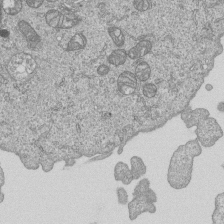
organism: Human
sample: MDA-MB-231 cells